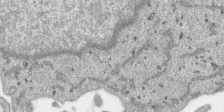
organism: Human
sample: Lung epithelial cells infected with SARS-CoV-2